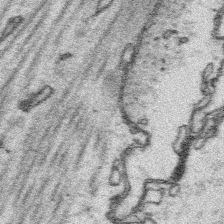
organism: Platynereis dumerilii